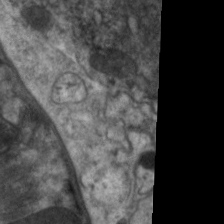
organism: C. elegans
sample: Pharynx